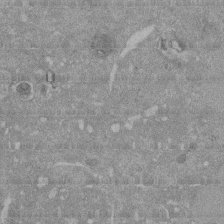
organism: Mouse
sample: ED-1 cell nuclei; centrioles